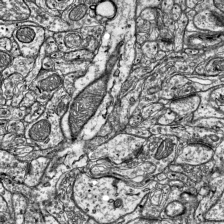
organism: Mouse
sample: Visual Cortex